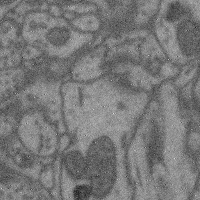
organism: Mouse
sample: Cerebral cortex